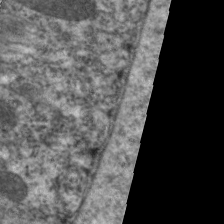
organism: C. elegans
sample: Pharynx